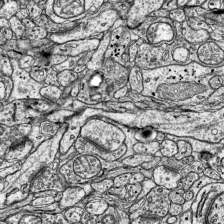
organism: Mouse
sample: Visual Cortex